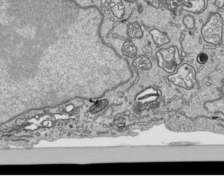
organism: Human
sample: Mitochondria in HCT116 cells